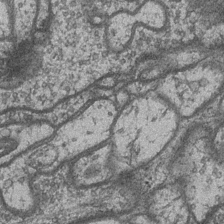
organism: Drosophila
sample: Optic medulla